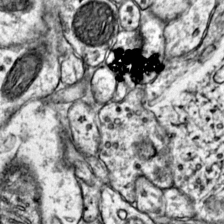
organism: Mouse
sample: Primary visual cortex